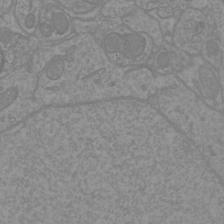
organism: Mouse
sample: Cortical neurons